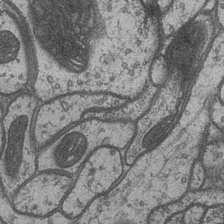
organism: Drosophila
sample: Optic medulla